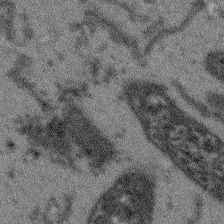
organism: Arabidopsis thaliana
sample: Root tip